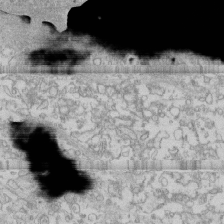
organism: Human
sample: CRL-1474